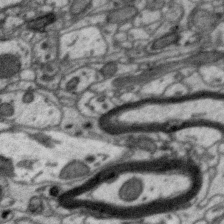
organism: Zebra finch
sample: Brain